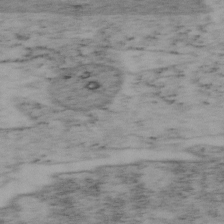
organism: Mouse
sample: OT-I killer T cells with ID8 ovarian cancer cells